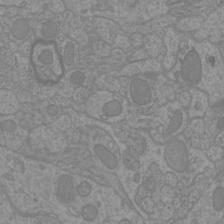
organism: Mouse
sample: Cortical neurons